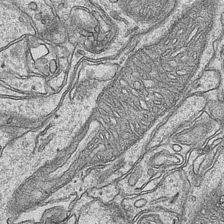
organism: Mouse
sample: CA1 Hippocampus